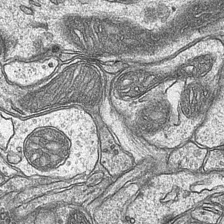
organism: Mouse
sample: CA1 Hippocampus